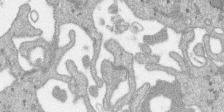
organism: Human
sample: Lung epithelial cells infected with SARS-CoV-2